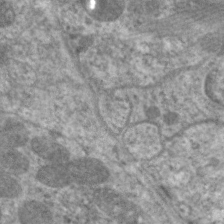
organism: C. elegans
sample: Pharynx